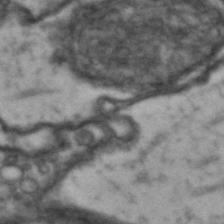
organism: Drosophila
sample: Brain